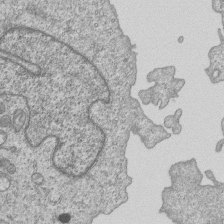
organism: Human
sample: MDA-MB-231 cells